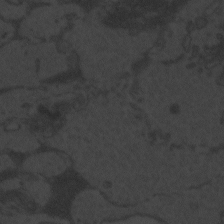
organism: Zebrafish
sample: Macrophage infected with Toxoplasma gondii